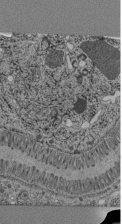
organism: C. elegans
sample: C. elegans pharynx